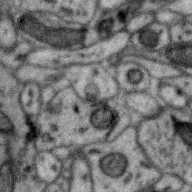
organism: Zebra finch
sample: Brain